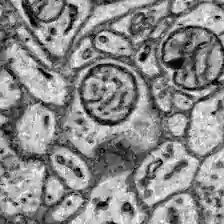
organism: Zebrafish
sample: Brain